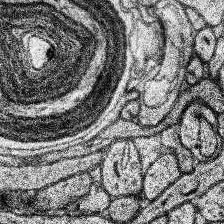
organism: Human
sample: Temporal Lobe